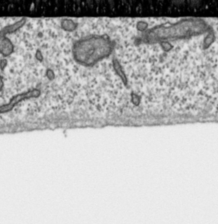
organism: Toxoplasma gondii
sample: Parasites in a vacuole inside a host cell